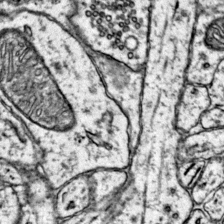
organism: Mouse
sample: Primary visual cortex